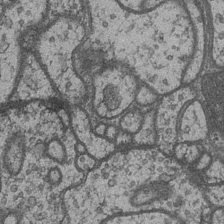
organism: Drosophila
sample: Optic medulla